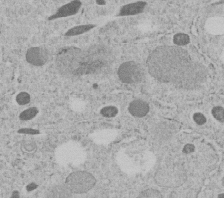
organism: C. elegans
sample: C. elegans embryo early stage